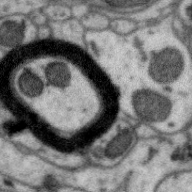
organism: Zebra finch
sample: Brain